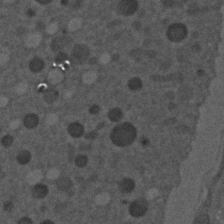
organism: C. elegans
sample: C. elegans embryo